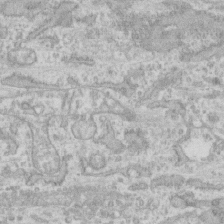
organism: Human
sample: CRL-1474